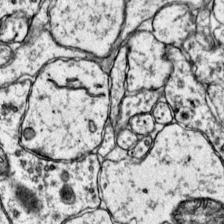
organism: Mouse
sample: Primary visual cortex